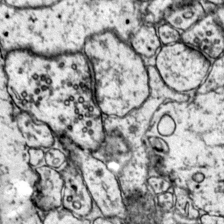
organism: Mouse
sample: Primary visual cortex